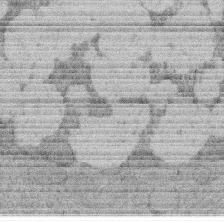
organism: Rat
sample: Salivary granule